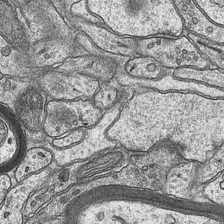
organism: Mouse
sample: CA1 Hippocampus